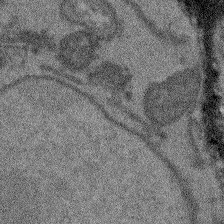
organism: Arabidopsis thaliana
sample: Root tip